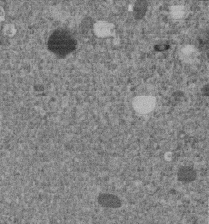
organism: C. elegans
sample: C. elegans embryo early stage